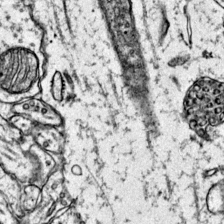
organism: Mouse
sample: Primary visual cortex